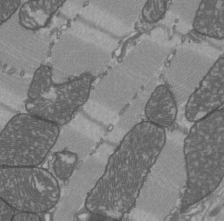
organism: C57BL Mouse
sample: Heart